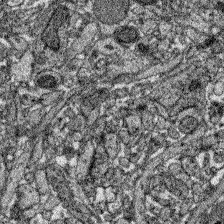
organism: Zebrafish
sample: Larval olfactory bulb